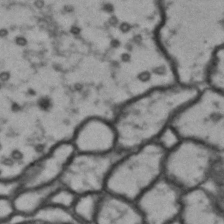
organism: Drosophila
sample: Brain